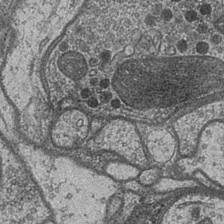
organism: Drosophila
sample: Optic medulla